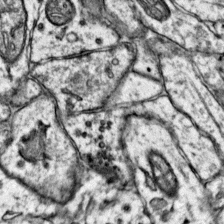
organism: Mouse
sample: Primary visual cortex